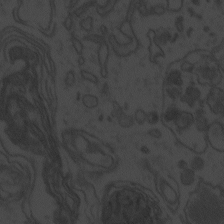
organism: Zebrafish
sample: Macrophage infected with Toxoplasma gondii